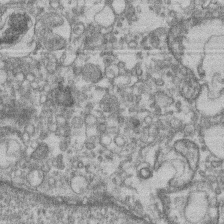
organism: Mouse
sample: T cell stromal cell synapse